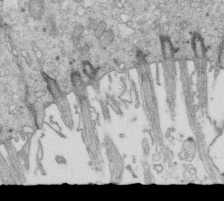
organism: Mouse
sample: Multiciliated cells